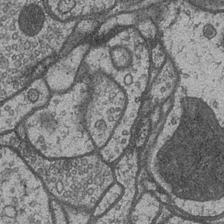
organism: Drosophila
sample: Optic medulla